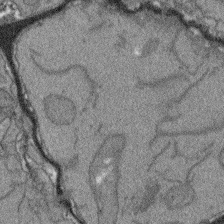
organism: Arabidopsis thaliana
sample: Root tip